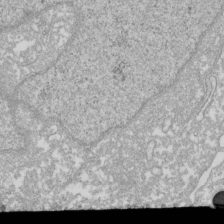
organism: Xenopus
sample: Cilia; centrioles in frog embryo cells